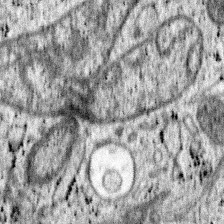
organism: Human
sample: HeLa cells